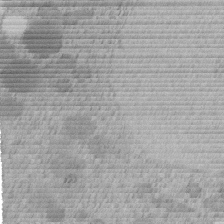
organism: C. elegans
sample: C. elegans embryo early stage